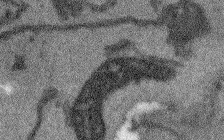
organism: Arabidopsis thaliana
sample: Root tip